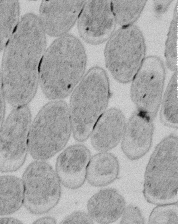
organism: E. coli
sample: Bacterial nucleoid